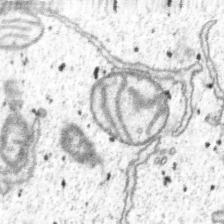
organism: Human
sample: HeLa cells